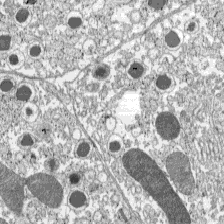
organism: C57BL Mouse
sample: Pancreatic islet